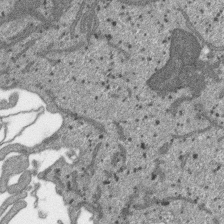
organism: Human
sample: Lung epithelial cells infected with SARS-CoV-2